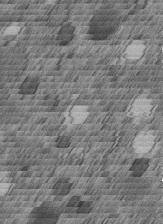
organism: C. elegans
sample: C. elegans embryo early stage